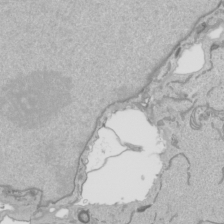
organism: Human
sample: Mitochondria in HCT116 cells